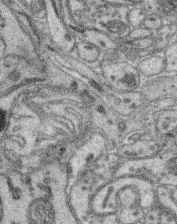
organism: Mouse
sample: Retina